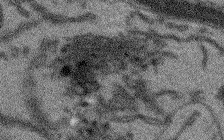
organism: Arabidopsis thaliana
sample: Root tip